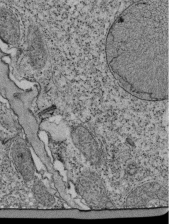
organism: Tetrahymena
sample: Cilia in tetrahymena